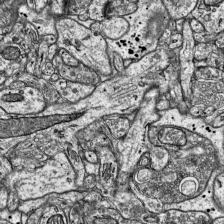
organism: Mouse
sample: Visual Cortex